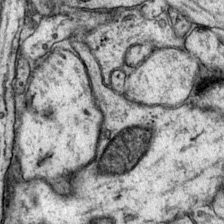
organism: Mouse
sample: Primary visual cortex